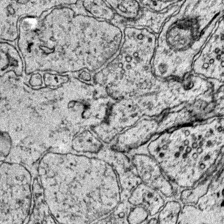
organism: Mouse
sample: Primary visual cortex